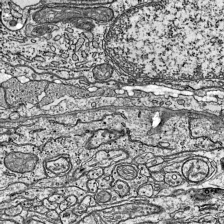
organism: Mouse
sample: Visual Cortex